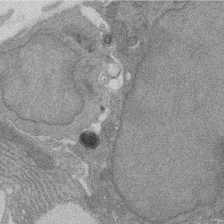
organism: Rat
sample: Salivary granule